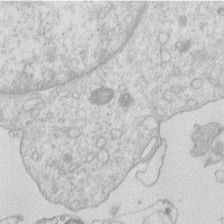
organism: Human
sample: Macrophage cells